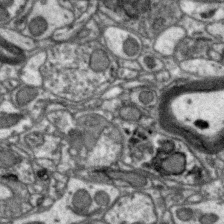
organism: Zebra finch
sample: Brain